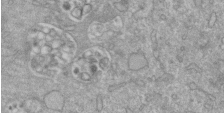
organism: Mouse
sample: ED-1 cell nuclei; centrioles